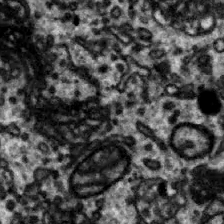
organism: Human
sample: HeLa cells